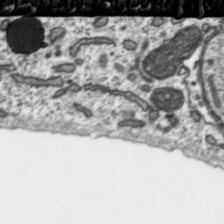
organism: Toxoplasma gondii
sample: Parasites in a vacuole inside a host cell